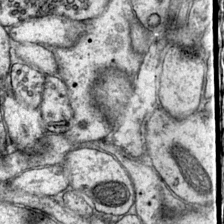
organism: Mouse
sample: Primary visual cortex